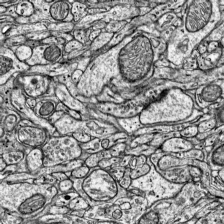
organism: Mouse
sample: Visual Cortex